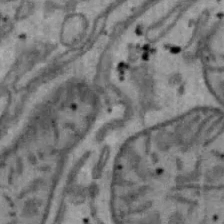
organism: Mouse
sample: Liver